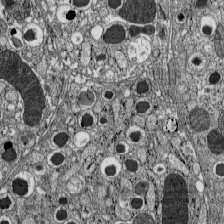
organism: C57BL Mouse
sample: Pancreatic islet